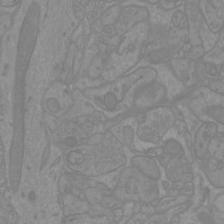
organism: Mouse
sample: Cortical neurons